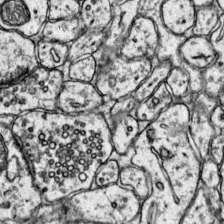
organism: Mouse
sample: Primary visual cortex